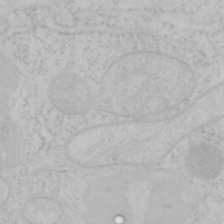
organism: Mouse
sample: OT-I killer T cells with ID8 ovarian cancer cells